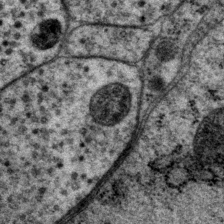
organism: P. pacificus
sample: Pharynx